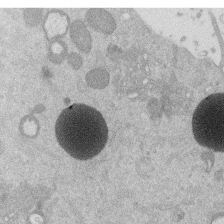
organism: Mouse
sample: Dividing mouse embryo 1 cell stage